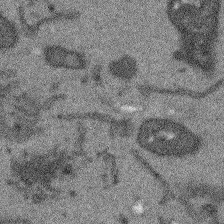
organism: Arabidopsis thaliana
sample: Root tip